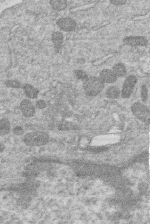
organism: Human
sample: Macrophage cells